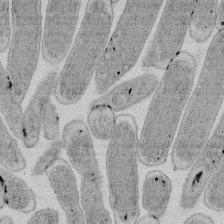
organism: E. coli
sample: Bacterial nucleoid